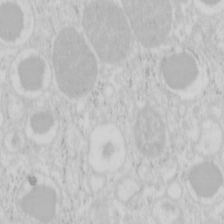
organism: Mouse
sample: Pancreas